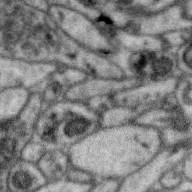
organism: Zebra finch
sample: Brain